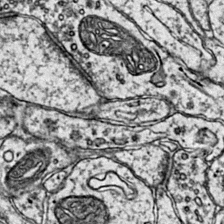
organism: Mouse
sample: Primary visual cortex